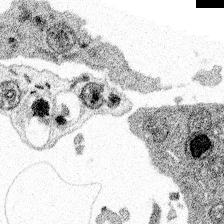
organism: Spongilla lacustris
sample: Multiple